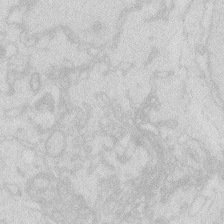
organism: Zebrafish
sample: Macrophage